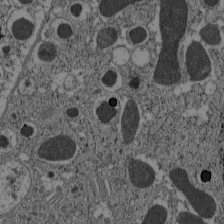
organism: C57BL Mouse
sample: Pancreatic islet